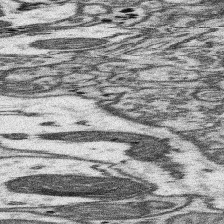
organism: Mouse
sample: Somatosensory cortex neuropil